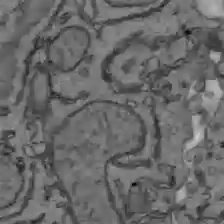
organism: C57BL Mouse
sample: Liver